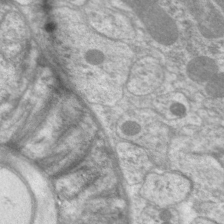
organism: C. elegans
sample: Pharynx